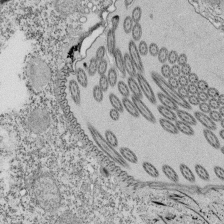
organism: Tetrahymena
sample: Cilia in tetrahymena